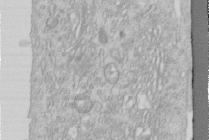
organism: Human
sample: Centriole in RPE cells